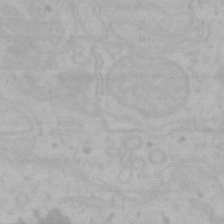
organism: Mouse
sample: Choroid plexus